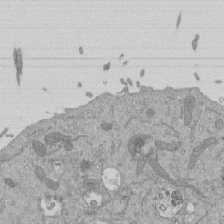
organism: Mouse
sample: ED-1 cell nuclei; centrioles